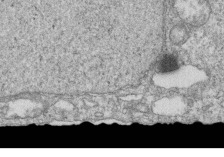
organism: Human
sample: HeLa cell HIV synapse